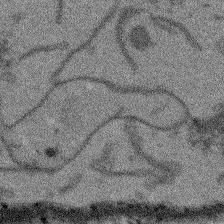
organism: Arabidopsis thaliana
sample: Root tip